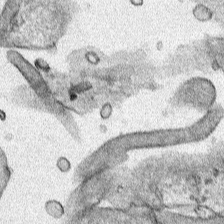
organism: Human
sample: Mitochondria in HCT116 cells